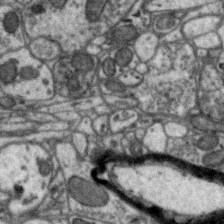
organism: Zebra finch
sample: Brain